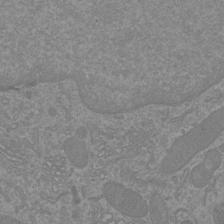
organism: Mouse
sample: Cortical neurons